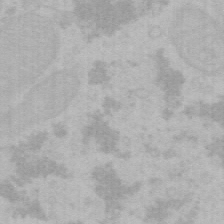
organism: Mouse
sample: Choroid plexus